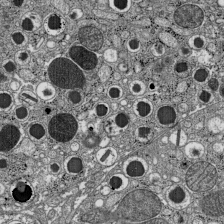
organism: C57BL Mouse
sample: Pancreatic islet